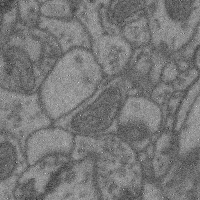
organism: Mouse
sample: Cerebral cortex